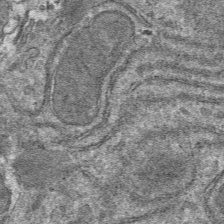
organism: Mouse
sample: Mouse hepatocytes